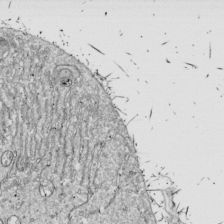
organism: Drosophila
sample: Cell division; meiosis; drosophila spermatocytes